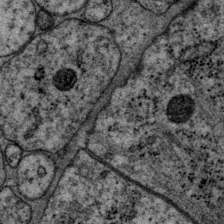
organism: P. pacificus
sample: Pharynx